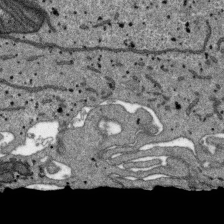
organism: Human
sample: Lung epithelial cells, uninfected (mock) control